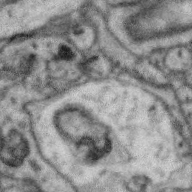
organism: Zebra finch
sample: Brain